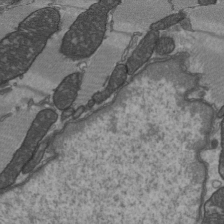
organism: C57BL Mouse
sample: Heart